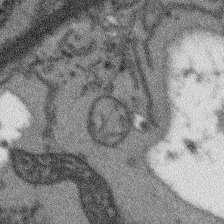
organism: Arabidopsis thaliana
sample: Root tip